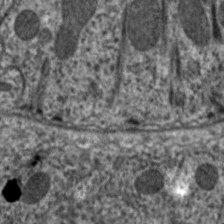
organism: C. elegans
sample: Pharynx